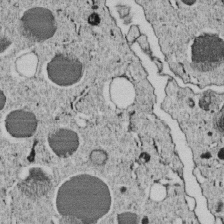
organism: C. elegans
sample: C. elegans embryo early stage